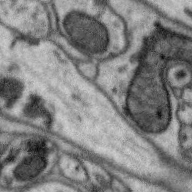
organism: Zebra finch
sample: Brain